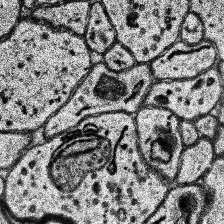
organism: Human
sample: Temporal Lobe